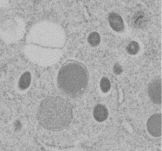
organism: C. elegans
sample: C. elegans embryo early stage